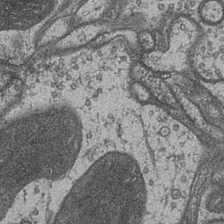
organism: Drosophila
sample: Optic medulla